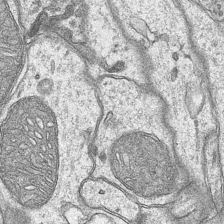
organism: Mouse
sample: CA1 Hippocampus